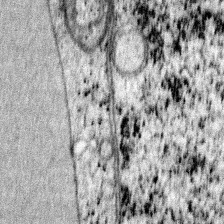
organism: Human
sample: HeLa cells